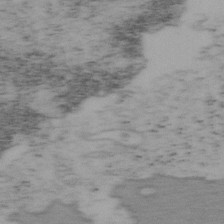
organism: Mouse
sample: OT-I killer T cells with ID8 ovarian cancer cells